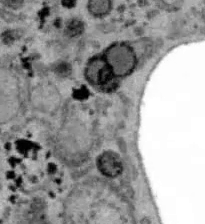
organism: Mouse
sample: Liver from an obese (ob/ob) mouse